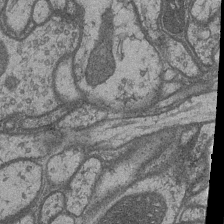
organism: Drosophila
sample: Optic medulla